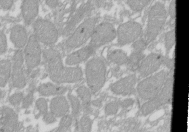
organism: Xenopus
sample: Cilia; centrioles in frog embryo cells